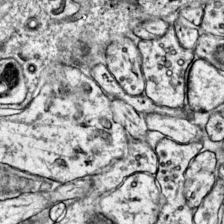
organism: Mouse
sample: Primary visual cortex